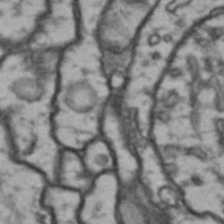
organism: Drosophila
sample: Brain